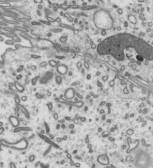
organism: Mouse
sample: Mouse epididymis efferent ductule cilia